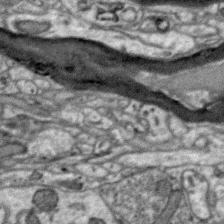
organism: Zebra finch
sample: Brain